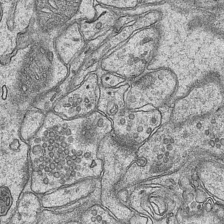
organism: Mouse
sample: CA1 Hippocampus